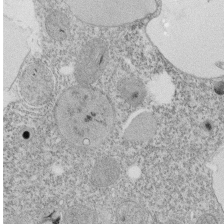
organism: Tetrahymena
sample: Cilia in tetrahymena